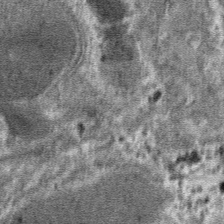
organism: Mouse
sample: Mouse hepatocytes